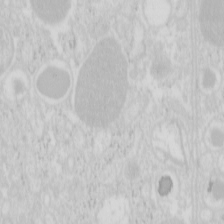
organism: Mouse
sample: Pancreas